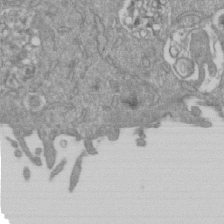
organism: Mouse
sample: ED-1 cell nuclei; centrioles